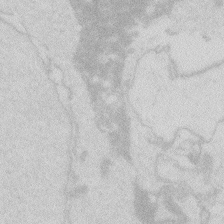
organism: Zebrafish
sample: Macrophage